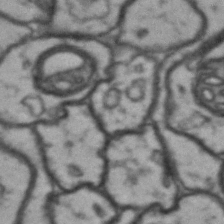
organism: Drosophila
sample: Brain